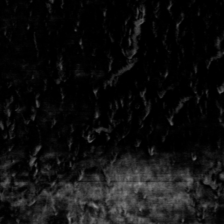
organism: Toxoplasma gondii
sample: Parasites in a vacuole inside a host cell